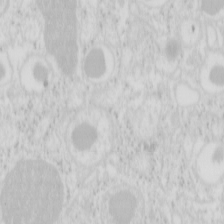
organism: Mouse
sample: Pancreas